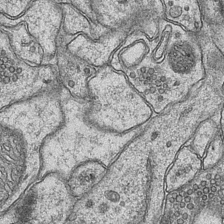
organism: Mouse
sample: CA1 Hippocampus